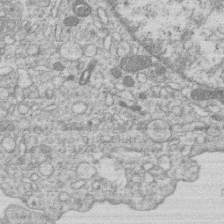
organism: Human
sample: Macrophage cells